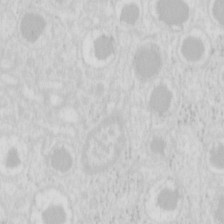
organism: Mouse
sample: Pancreas